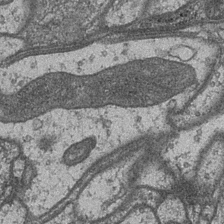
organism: Drosophila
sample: Optic medulla